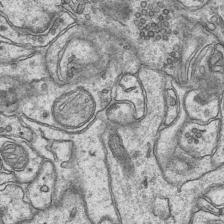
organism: Mouse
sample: CA1 Hippocampus